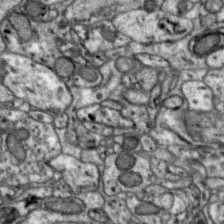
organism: Zebra finch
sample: Brain